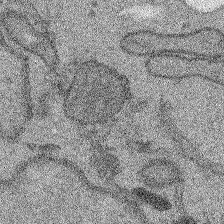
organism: Human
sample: HeLa cells